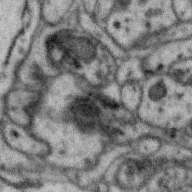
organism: Zebra finch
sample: Brain